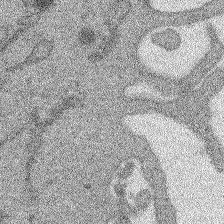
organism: Human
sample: HeLa cells